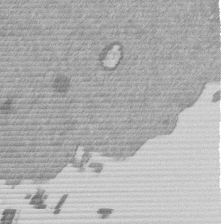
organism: Mouse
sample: Dividing mouse embryo 1 cell stage